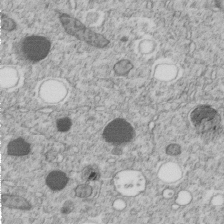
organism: C. elegans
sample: C. elegans embryo early stage